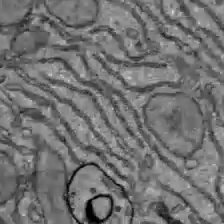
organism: C57BL Mouse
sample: Liver